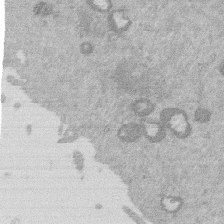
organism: Mouse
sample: Dividing mouse embryo 1 cell stage